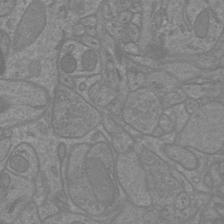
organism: Mouse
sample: Cortical neurons